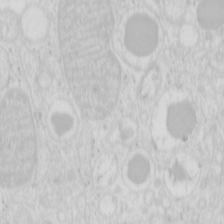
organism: Mouse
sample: Pancreas